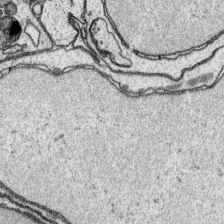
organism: Platynereis dumerilii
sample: Parapodia